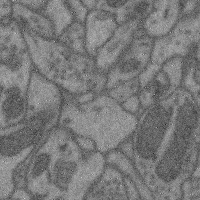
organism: Mouse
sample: Cerebral cortex